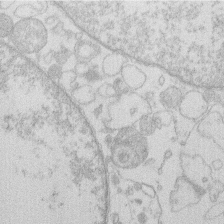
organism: Human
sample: Macrophage cells